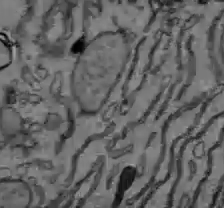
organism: C57BL Mouse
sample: Liver